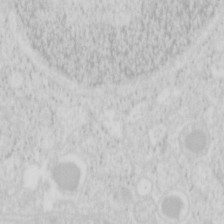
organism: Mouse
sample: Pancreas